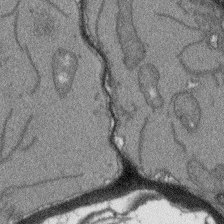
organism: Arabidopsis thaliana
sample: Root tip